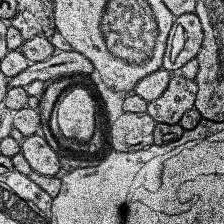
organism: Human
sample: Temporal Lobe